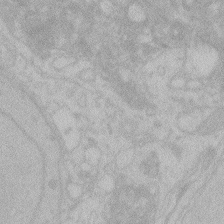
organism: Zebrafish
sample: Macrophage infected with Toxoplasma gondii